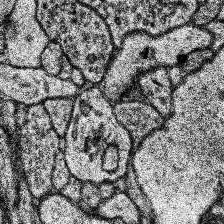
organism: Human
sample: Temporal Lobe